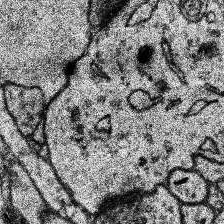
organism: Human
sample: Temporal Lobe